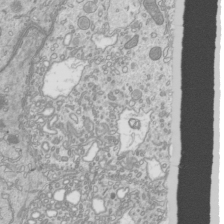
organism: Mouse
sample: Cilia; mouse epididymis